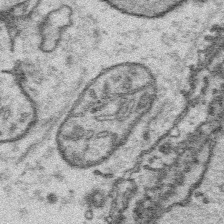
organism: Platynereis dumerilii